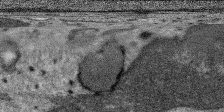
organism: Human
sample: Lung epithelial cells infected with SARS-CoV-2